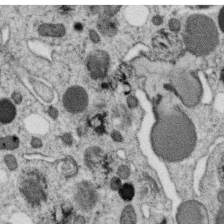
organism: C. elegans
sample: C. elegans oocyte; sperm cells